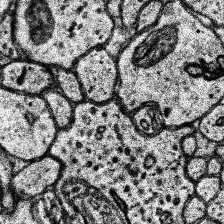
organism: Human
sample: Temporal Lobe